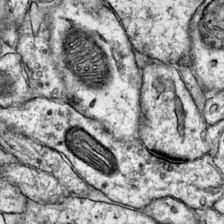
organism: Mouse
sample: Primary visual cortex